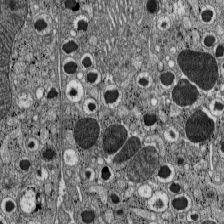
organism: C57BL Mouse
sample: Pancreatic islet